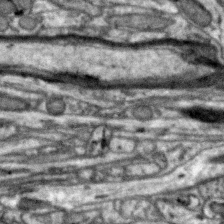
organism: Zebra finch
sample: Brain